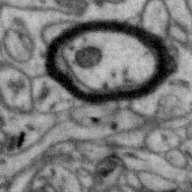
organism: Zebra finch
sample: Brain